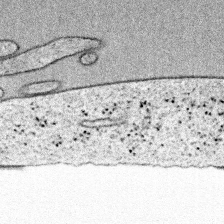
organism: Human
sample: HeLa cells